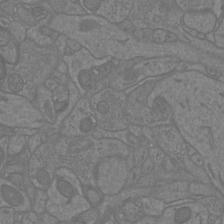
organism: Mouse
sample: Cortical neurons